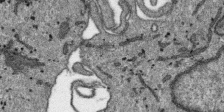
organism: Human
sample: Lung epithelial cells, uninfected (mock) control